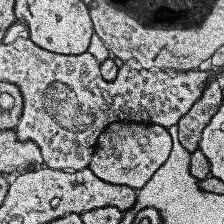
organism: Human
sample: Temporal Lobe